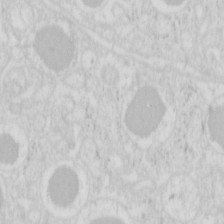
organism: Mouse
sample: Pancreas